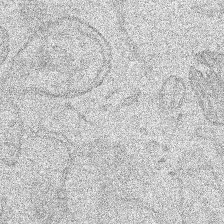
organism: Human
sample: Mitochondria in HCT116 cells